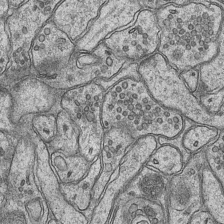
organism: Mouse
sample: CA1 Hippocampus